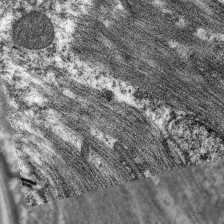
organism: C. elegans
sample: Pharynx